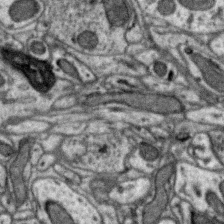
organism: Zebra finch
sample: Brain